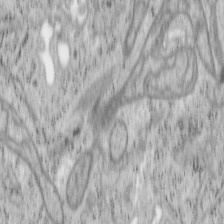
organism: Human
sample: HeLa cells